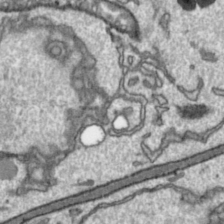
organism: Toxoplasma gondii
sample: Parasites in a vacuole inside a host cell